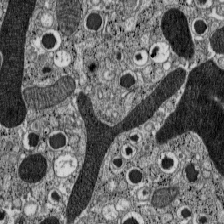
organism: C57BL Mouse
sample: Pancreatic islet